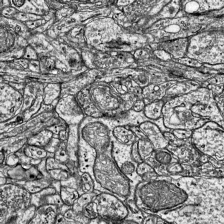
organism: Mouse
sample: Visual Cortex